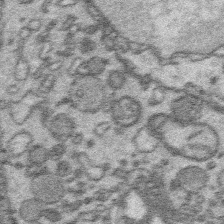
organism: Platynereis dumerilii